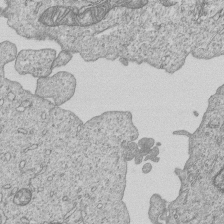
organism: Human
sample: MDA-MB-231 cells